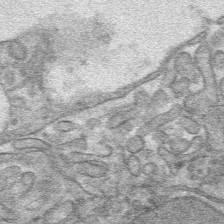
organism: Mouse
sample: Mouse hepatocytes